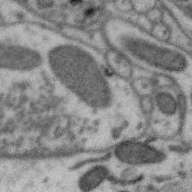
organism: Zebra finch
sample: Brain